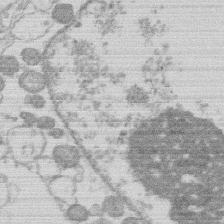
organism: Human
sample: Macrophage cells